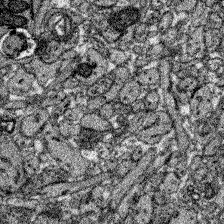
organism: Zebrafish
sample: Larval olfactory bulb